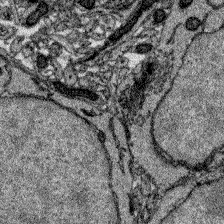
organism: Zebrafish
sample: Larval olfactory bulb